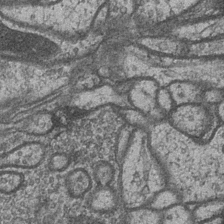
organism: Drosophila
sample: Optic medulla